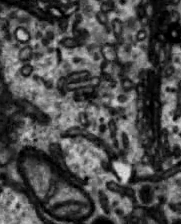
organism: Human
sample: HeLa cells